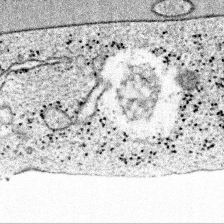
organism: Human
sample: HeLa cells